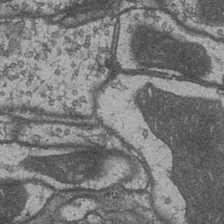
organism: Drosophila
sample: Optic medulla